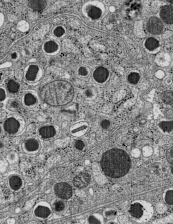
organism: C57BL Mouse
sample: Pancreatic islet